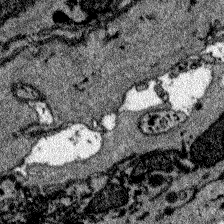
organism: Zebrafish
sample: Larval olfactory bulb